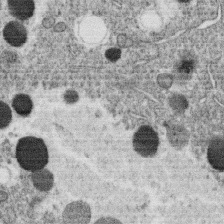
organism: C. elegans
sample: C. elegans oocyte; sperm cells